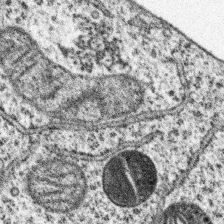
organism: Human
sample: HeLa cells